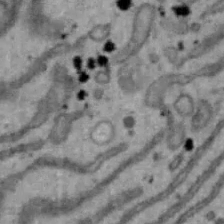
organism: Mouse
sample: Liver